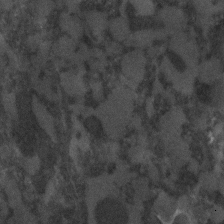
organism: C. elegans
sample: C. elegans embryo